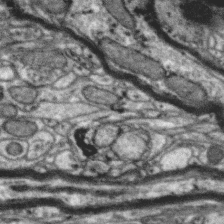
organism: Zebra finch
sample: Brain